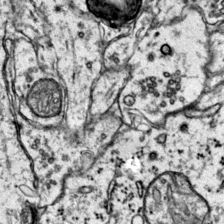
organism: Mouse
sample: Primary visual cortex